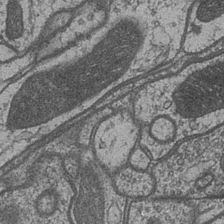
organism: Drosophila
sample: Optic medulla